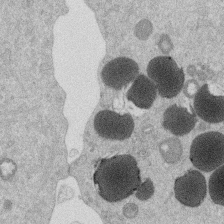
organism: Mouse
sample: Dividing mouse embryo 1 cell stage